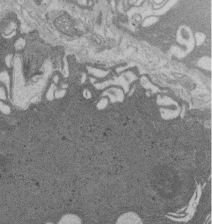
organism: Rat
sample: Salivary granule